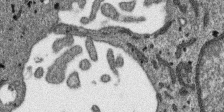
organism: Human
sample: Lung epithelial cells infected with SARS-CoV-2